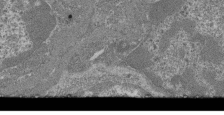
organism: Mouse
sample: Glomerulus